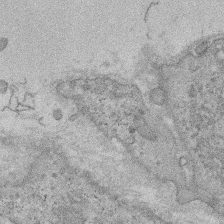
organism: Rat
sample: Salivary granule